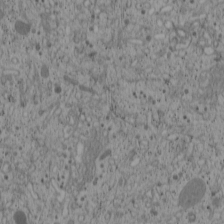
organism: African green monkey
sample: COS-7 cells